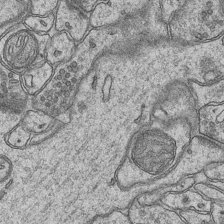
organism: Mouse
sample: CA1 Hippocampus